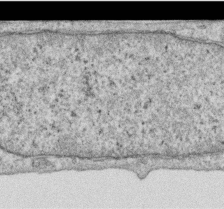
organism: Human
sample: Centriole in RPE cells